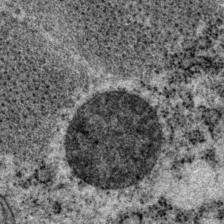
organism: P. pacificus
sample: Pharynx